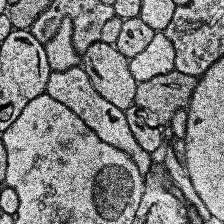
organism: Human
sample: Temporal Lobe